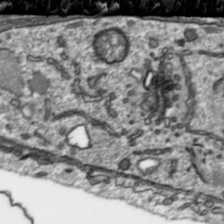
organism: Toxoplasma gondii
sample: Parasites in a vacuole inside a host cell